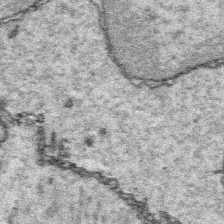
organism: Platynereis dumerilii